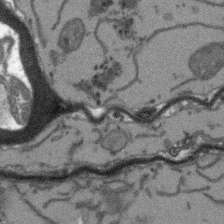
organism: Arabidopsis thaliana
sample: Root tip